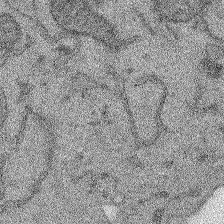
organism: Human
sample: HeLa cells